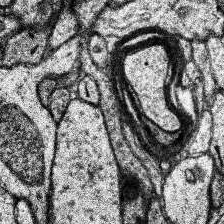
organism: Human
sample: Temporal Lobe